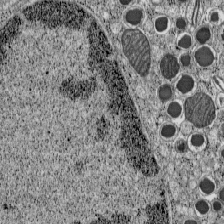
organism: C57BL Mouse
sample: Pancreatic islet